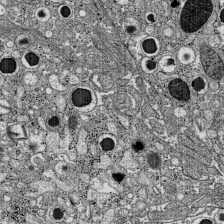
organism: C57BL Mouse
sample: Pancreatic islet